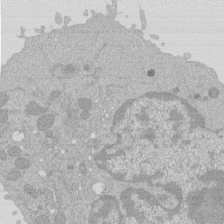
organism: Mouse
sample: Activated Pmel transgenic CD8+ T Cells